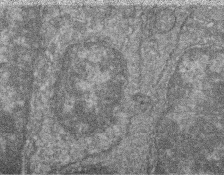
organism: Zebrafish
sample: Cilia; retinal pigment epithelium